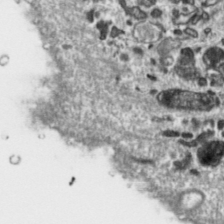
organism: Toxoplasma gondii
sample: Parasites in a vacuole inside a host cell